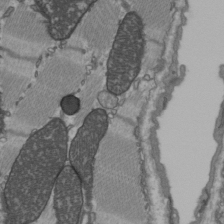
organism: C57BL Mouse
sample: Heart